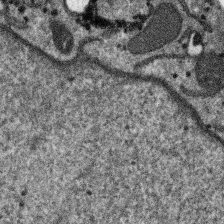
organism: Human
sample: Lung epithelial cells infected with SARS-CoV-2